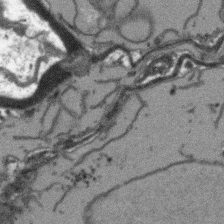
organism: Arabidopsis thaliana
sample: Root tip